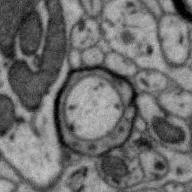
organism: Zebra finch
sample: Brain